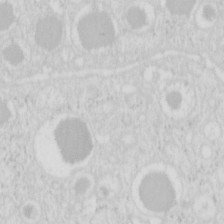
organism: Mouse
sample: Pancreas